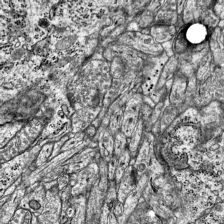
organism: Mouse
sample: Visual Cortex